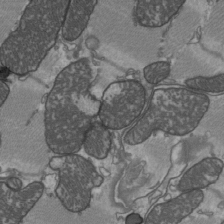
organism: C57BL Mouse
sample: Heart